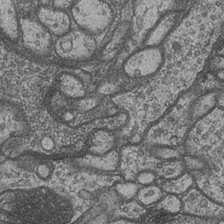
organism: Drosophila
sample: Optic medulla